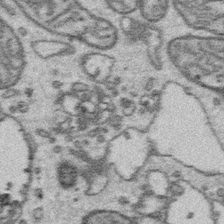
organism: Platynereis dumerilii